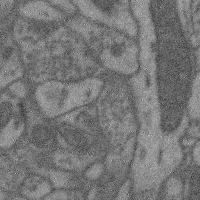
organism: Mouse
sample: Cerebral cortex